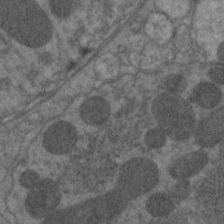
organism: C. elegans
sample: Pharynx